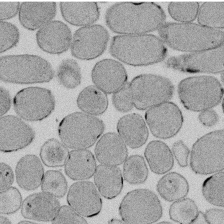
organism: E. coli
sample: Bacterial nucleoid